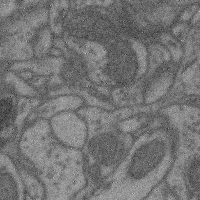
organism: Mouse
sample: Cerebral cortex